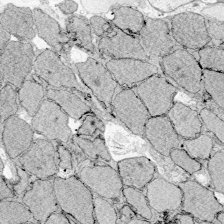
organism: Zebrafish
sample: Whole-Brain